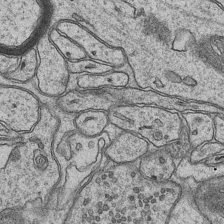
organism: Mouse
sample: CA1 Hippocampus